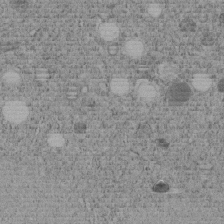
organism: C. elegans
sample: C. elegans embryo early stage